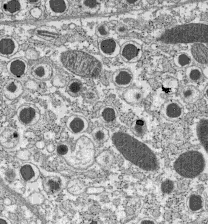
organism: C57BL Mouse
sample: Pancreatic islet